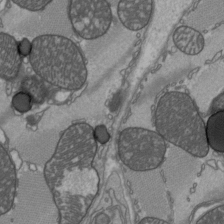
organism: C57BL Mouse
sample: Heart